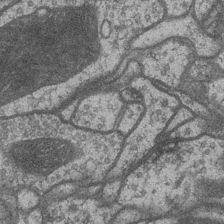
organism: Drosophila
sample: Optic medulla